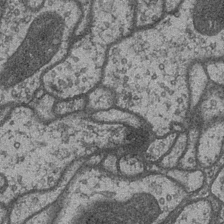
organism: Drosophila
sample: Optic medulla